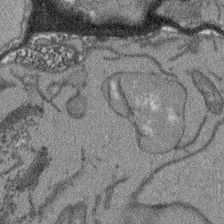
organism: Arabidopsis thaliana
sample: Root tip